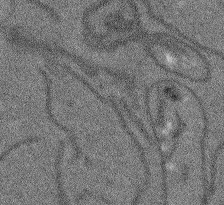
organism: Arabidopsis thaliana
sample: Root tip